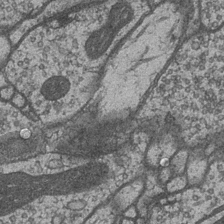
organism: Drosophila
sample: Optic medulla